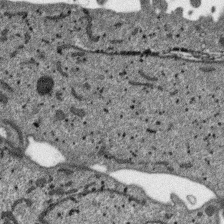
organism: Human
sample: Lung epithelial cells infected with SARS-CoV-2